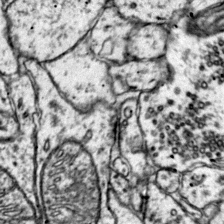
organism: Mouse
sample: Primary visual cortex